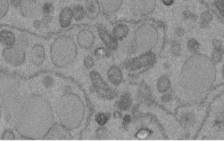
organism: C. elegans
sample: C. elegans embryo early stage